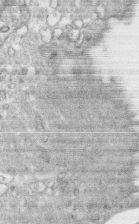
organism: Human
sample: CRL-1474